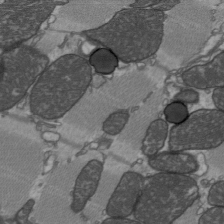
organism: C57BL Mouse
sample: Heart